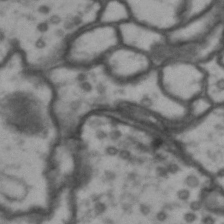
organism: Drosophila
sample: Brain